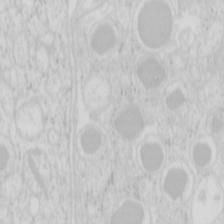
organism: Mouse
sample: Pancreas